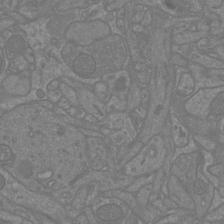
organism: Mouse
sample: Cortical neurons